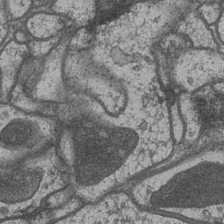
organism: Drosophila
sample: Optic medulla